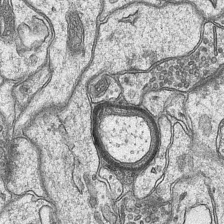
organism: Mouse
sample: CA1 Hippocampus